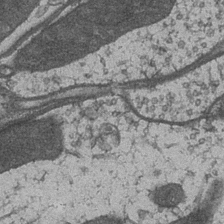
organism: Drosophila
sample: Optic medulla